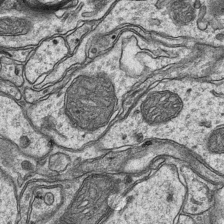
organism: Mouse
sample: CA1 Hippocampus